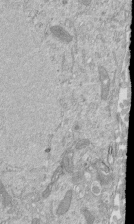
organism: Mouse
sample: ED-1 cell nuclei; centrioles